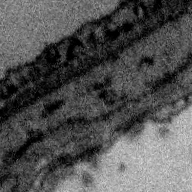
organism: Zebra finch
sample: Brain